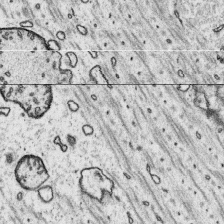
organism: Platynereis dumerilii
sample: Parapodia